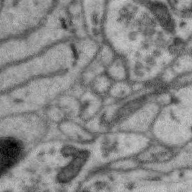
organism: Zebra finch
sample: Brain